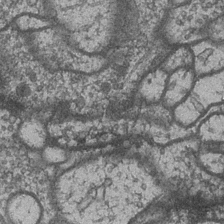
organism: Drosophila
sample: Optic medulla